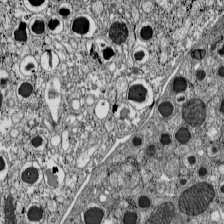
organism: C57BL Mouse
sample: Pancreatic islet